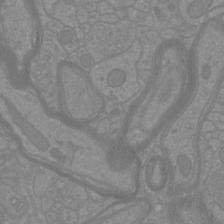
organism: Mouse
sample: Cortical neurons